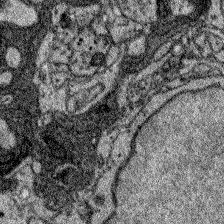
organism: Zebrafish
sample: Larval olfactory bulb